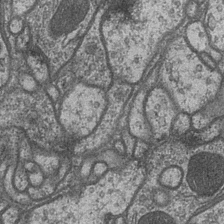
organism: Drosophila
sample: Optic medulla